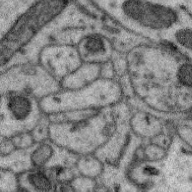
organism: Zebra finch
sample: Brain